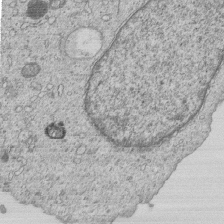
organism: Human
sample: MDA-MB-231 cells